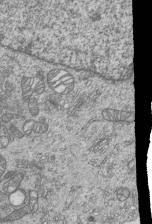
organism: Human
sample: MDA-MB-231 cells